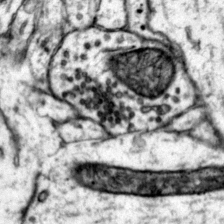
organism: Mouse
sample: Primary visual cortex